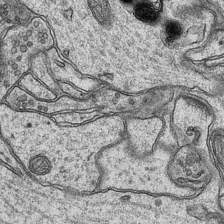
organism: Mouse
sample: CA1 Hippocampus